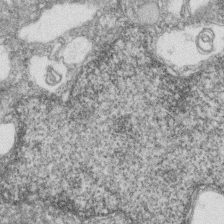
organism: Zebrafish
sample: Cilia; retinal pigment epithelium